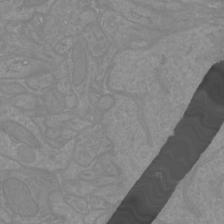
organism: Mouse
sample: Cortical neurons